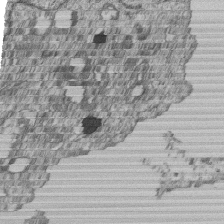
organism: Human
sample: MDA-MB-231 cells